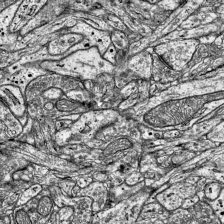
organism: Mouse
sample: Visual Cortex